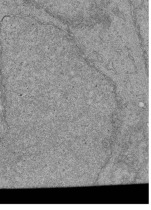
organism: Human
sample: Retinal organoid Rod and Cone cells